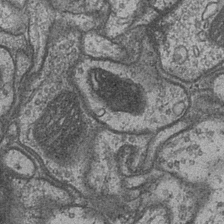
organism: Drosophila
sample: Optic medulla